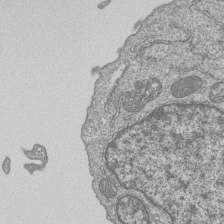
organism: Human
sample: MDA-MB-231 cells